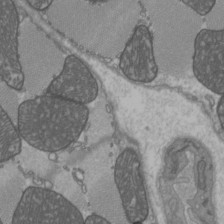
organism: C57BL Mouse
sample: Heart